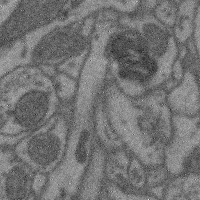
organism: Mouse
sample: Cerebral cortex